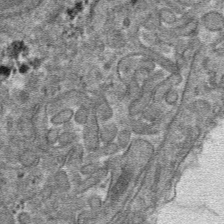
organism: Mouse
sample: Mouse hepatocytes